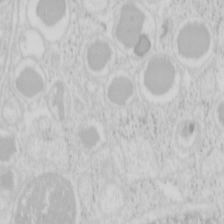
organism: Mouse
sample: Pancreas